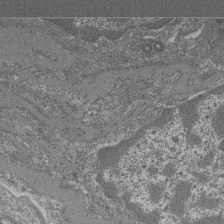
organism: Mouse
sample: Glomerulus